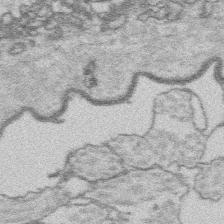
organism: Platynereis dumerilii